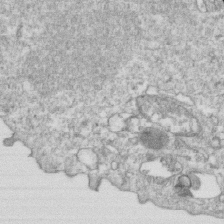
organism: Mouse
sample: Activated OT-1 CD8+ T cells